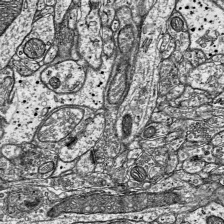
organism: Mouse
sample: Visual Cortex